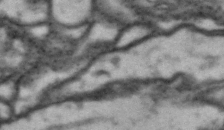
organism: Drosophila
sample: Brain